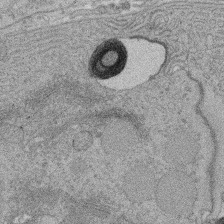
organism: Rat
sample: Salivary granule